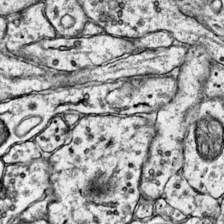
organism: Mouse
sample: Primary visual cortex